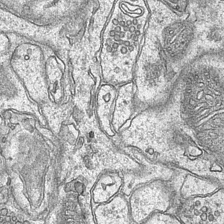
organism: Mouse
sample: CA1 Hippocampus